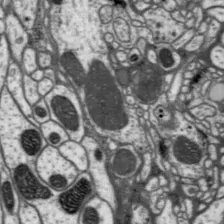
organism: Drosophila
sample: Protocerebral bridge